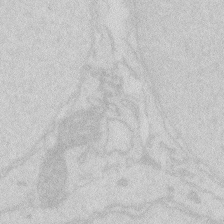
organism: Zebrafish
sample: Macrophage